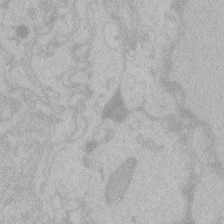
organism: Zebrafish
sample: Macrophage infected with Toxoplasma gondii